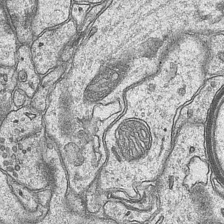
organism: Mouse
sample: CA1 Hippocampus